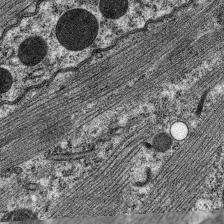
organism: C. elegans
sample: Pharynx